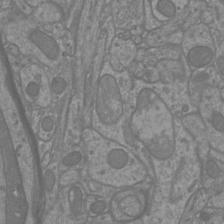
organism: Mouse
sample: Cortical neurons